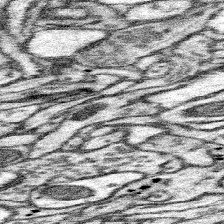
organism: Mouse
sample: Somatosensory cortex neuropil